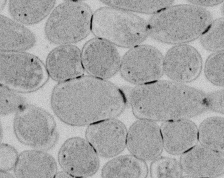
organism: E. coli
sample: Bacterial nucleoid